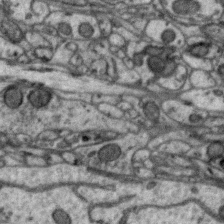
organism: Zebra finch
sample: Brain